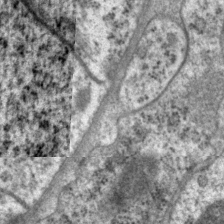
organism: P. pacificus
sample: Pharynx